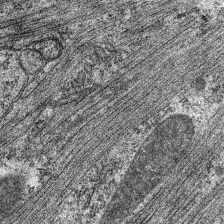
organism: C. elegans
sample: Pharynx